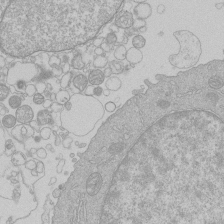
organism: Human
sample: Macrophage cells